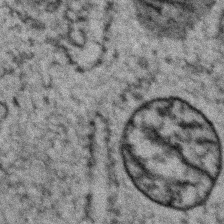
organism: Zebrafish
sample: Zebrafish embryo